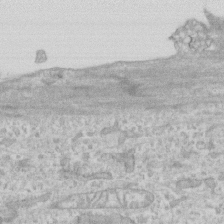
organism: Human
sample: CRL-1474